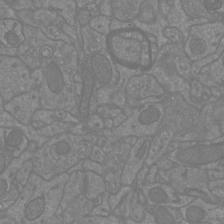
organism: Mouse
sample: Cortical neurons